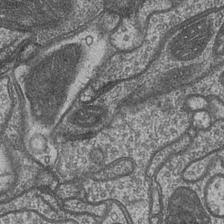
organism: Drosophila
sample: Optic medulla